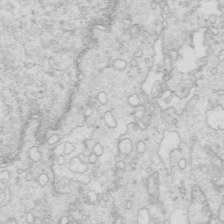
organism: Mouse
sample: Multiciliated cells